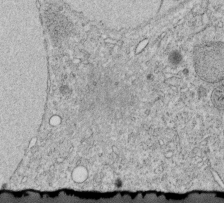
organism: C. elegans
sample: C. elegans embryo early stage